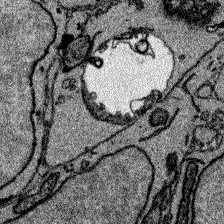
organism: Zebrafish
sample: Larval olfactory bulb